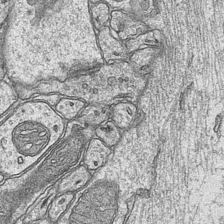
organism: Mouse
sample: CA1 Hippocampus